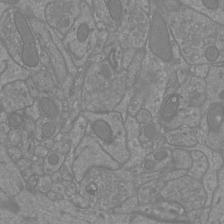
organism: Mouse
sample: Cortical neurons